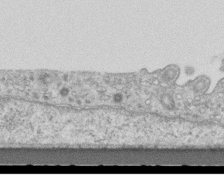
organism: Mouse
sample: Centriole in ependymal cells